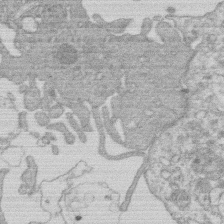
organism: Human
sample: Macrophage cells